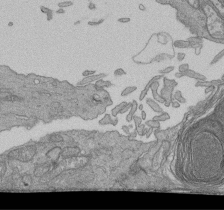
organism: Human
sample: Retinal organoid Rod and Cone cells